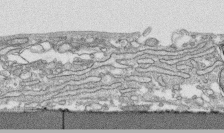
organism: Human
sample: CRL-1474